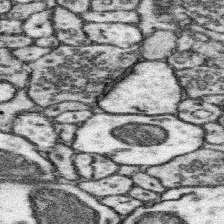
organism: Mouse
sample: Somatosensory cortex neuropil